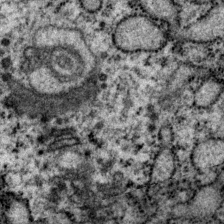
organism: P. pacificus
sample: Pharynx